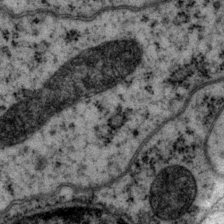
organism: P. pacificus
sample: Pharynx